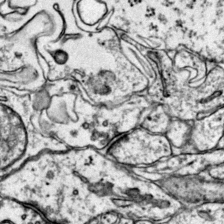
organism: Mouse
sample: Primary visual cortex